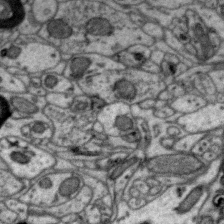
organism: Zebra finch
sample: Brain